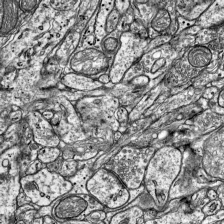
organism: Mouse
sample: Visual Cortex